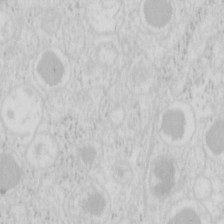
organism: Mouse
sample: Pancreas